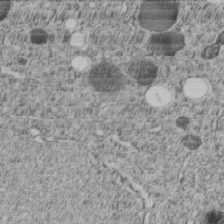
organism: C. elegans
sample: C. elegans embryo early stage